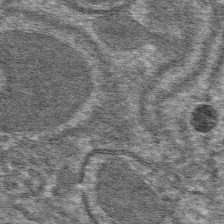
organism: Mouse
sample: Mouse hepatocytes